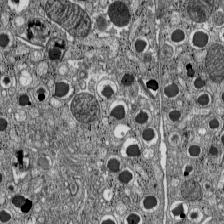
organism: C57BL Mouse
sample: Pancreatic islet